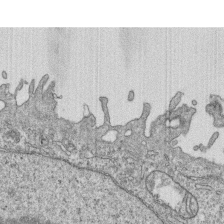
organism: Human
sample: HeLa cell HIV synapse